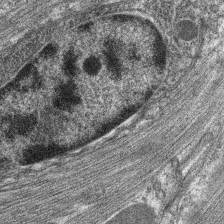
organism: C. elegans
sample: Pharynx